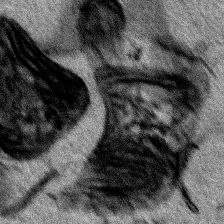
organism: Human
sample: Mitochondria in HCT116 cells